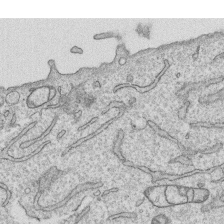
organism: Human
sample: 1205lu cells